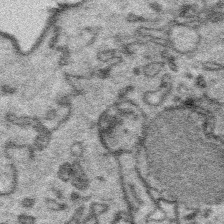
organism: Platynereis dumerilii